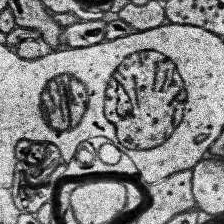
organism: Human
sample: Temporal Lobe